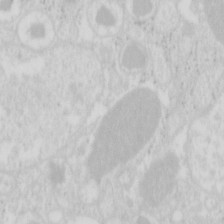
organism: Mouse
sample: Pancreas